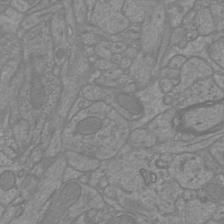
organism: Mouse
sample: Cortical neurons